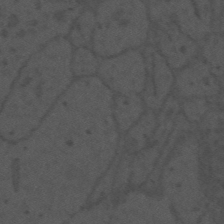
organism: Mouse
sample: Suprachiasmatic nucleus